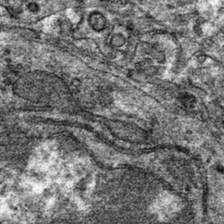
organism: Mouse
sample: Mouse hepatocytes